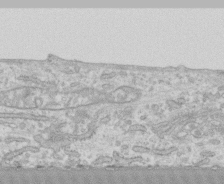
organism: Human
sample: CRL-1474